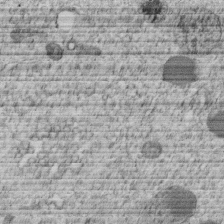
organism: C. elegans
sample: C. elegans embryo early stage